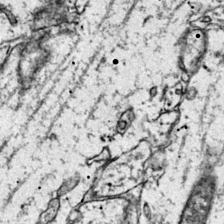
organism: Mouse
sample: Primary visual cortex